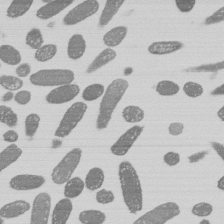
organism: E. coli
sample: Bacterial nucleoid